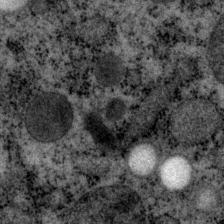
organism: P. pacificus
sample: Pharynx